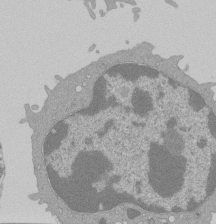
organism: Mouse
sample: Activated Pmel transgenic CD8+ T Cells